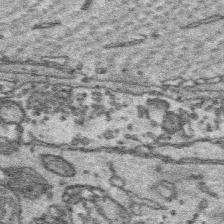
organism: Platynereis dumerilii